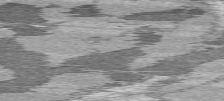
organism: C57BL Mouse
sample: Heart